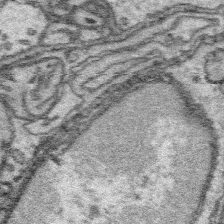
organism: Platynereis dumerilii